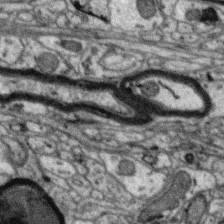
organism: Zebra finch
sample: Brain